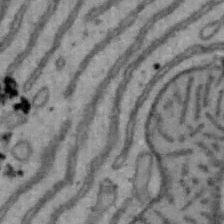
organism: Mouse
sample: Liver